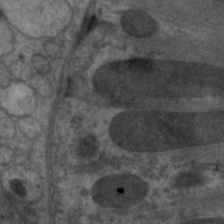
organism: C. elegans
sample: Pharynx